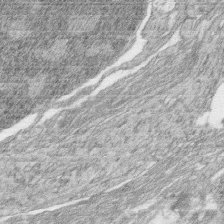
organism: Zebrafish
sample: synaptic ribbons in rod cells and cone cells